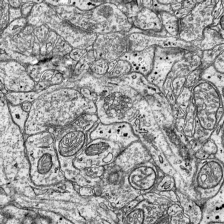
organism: Mouse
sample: Visual Cortex